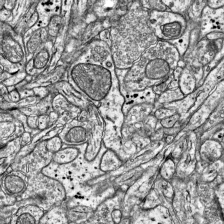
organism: Mouse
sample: Visual Cortex